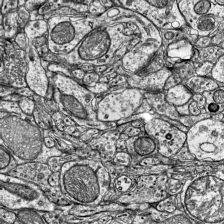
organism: Mouse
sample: Visual Cortex